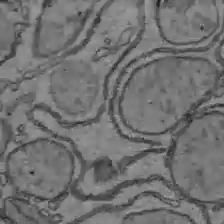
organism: C57BL Mouse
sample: Liver